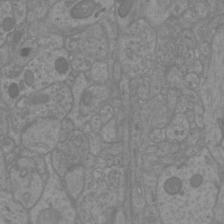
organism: Mouse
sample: Cortical neurons